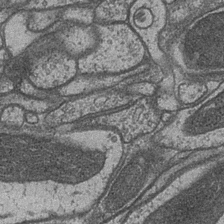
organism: Drosophila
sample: Optic medulla